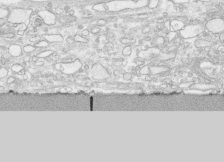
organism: Human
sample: CRL-1474